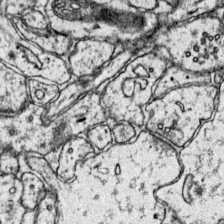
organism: Mouse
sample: Primary visual cortex